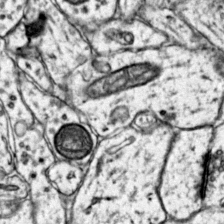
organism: Mouse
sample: Primary visual cortex